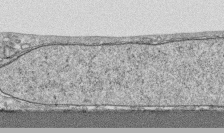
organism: Human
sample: CRL-1474